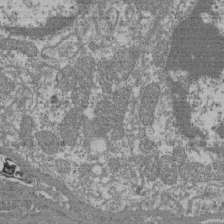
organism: Mouse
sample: Glomerulus